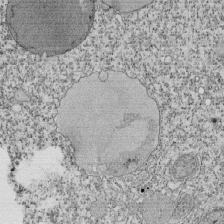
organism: Tetrahymena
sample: Cilia in tetrahymena